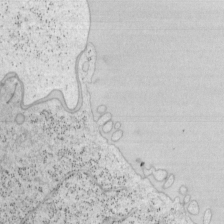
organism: Mouse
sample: OT-I killer T cells with ID8 ovarian cancer cells